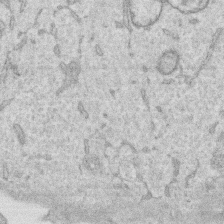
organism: Human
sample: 1205lu cells